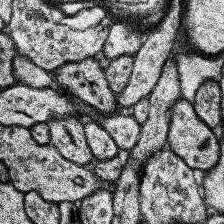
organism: Human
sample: Temporal Lobe